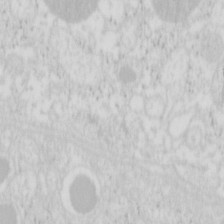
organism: Mouse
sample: Pancreas